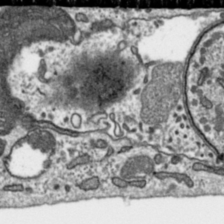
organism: Toxoplasma gondii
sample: Parasites in a vacuole inside a host cell